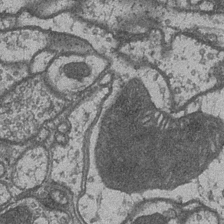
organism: Drosophila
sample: Optic medulla